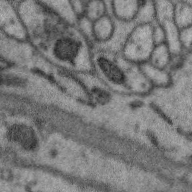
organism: Zebra finch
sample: Brain